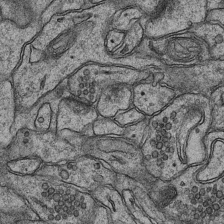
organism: Mouse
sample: CA1 Hippocampus